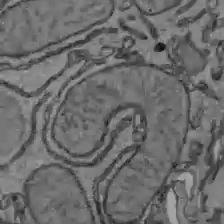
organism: C57BL Mouse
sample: Liver